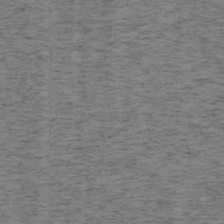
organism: Mouse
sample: OT-I killer T cells with ID8 ovarian cancer cells